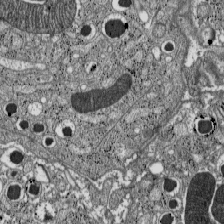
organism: C57BL Mouse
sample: Pancreatic islet